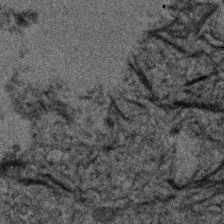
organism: Human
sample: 1205lu cells